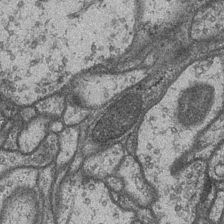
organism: Drosophila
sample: Optic medulla